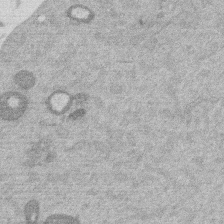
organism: Mouse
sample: Dividing mouse embryo 1 cell stage